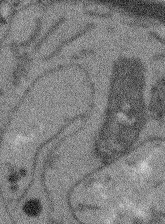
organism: Arabidopsis thaliana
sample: Root tip